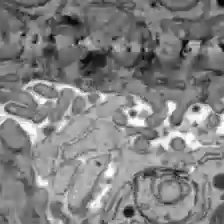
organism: C57BL Mouse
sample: Liver